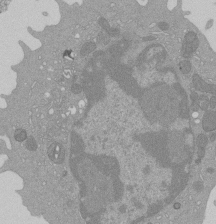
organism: Mouse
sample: Activated Pmel transgenic CD8+ T Cells